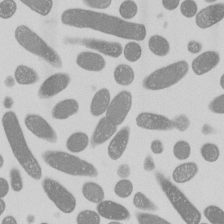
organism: E. coli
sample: Bacterial nucleoid